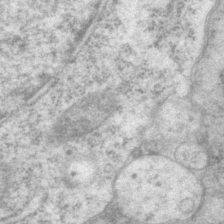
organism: P. pacificus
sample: Pharynx